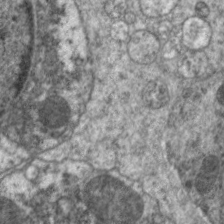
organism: C. elegans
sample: Pharynx